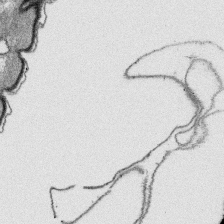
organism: Platynereis dumerilii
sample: Parapodia